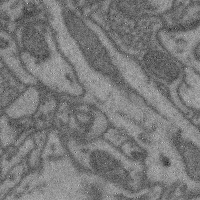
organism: Mouse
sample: Cerebral cortex